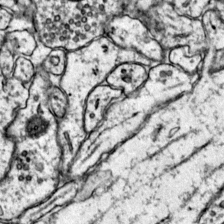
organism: Mouse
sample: Primary visual cortex